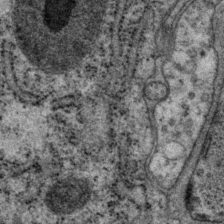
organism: P. pacificus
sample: Pharynx